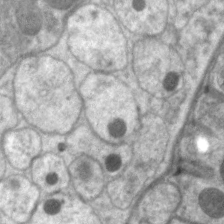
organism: C. elegans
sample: Pharynx